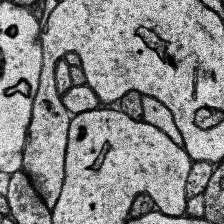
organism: Human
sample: Temporal Lobe